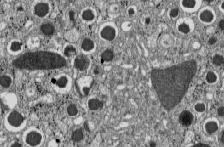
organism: C57BL Mouse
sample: Pancreatic islet